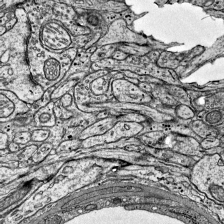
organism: Mouse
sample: Visual Cortex